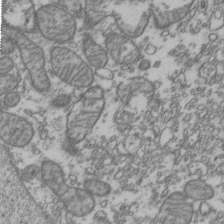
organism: Human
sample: Activated Jurkat CD4+ T cells